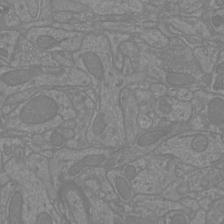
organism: Mouse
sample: Cortical neurons